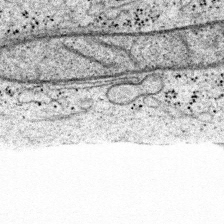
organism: Human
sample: HeLa cells